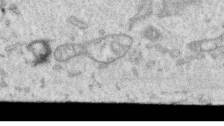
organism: Human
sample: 1205lu cells